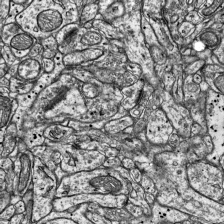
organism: Mouse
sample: Visual Cortex